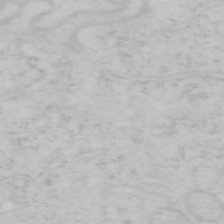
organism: Mouse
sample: OT-I killer T cells with ID8 ovarian cancer cells